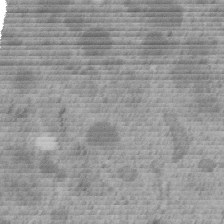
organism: C. elegans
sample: C. elegans embryo early stage